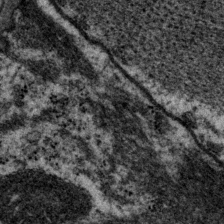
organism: P. pacificus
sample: Pharynx